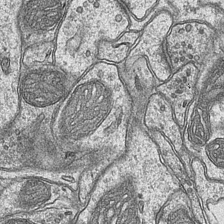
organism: Mouse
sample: CA1 Hippocampus